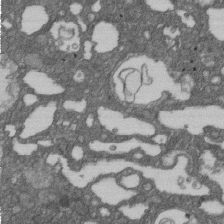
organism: Drosophila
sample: Nephrocyte